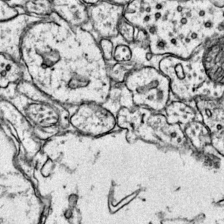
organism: Mouse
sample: Primary visual cortex